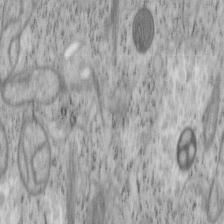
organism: Human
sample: HeLa cells